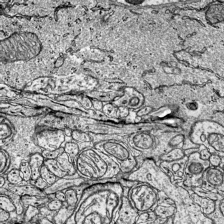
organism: Mouse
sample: Visual Cortex